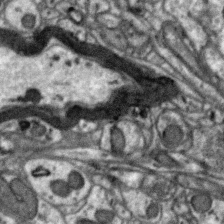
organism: Zebra finch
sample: Brain